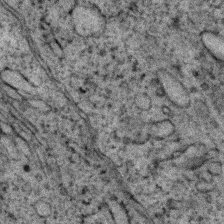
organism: Zebrafish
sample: Zebrafish embryo